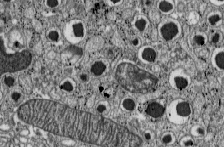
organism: C57BL Mouse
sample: Pancreatic islet